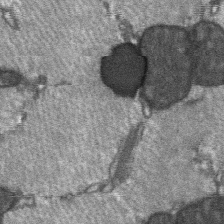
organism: C57BL Mouse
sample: Soleus